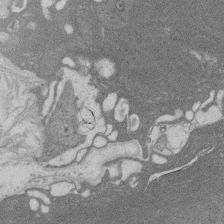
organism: Rat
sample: Salivary granule